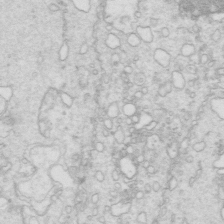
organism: Mouse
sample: Multiciliated cells